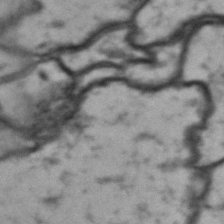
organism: Drosophila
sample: Brain